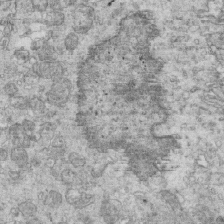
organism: Mouse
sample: Multiciliated cells